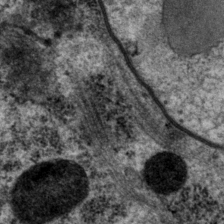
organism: P. pacificus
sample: Pharynx